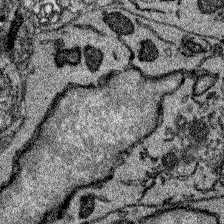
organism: Zebrafish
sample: Larval olfactory bulb